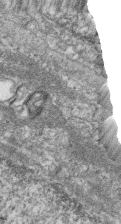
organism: Zebrafish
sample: Cilia; retinal pigment epithelium